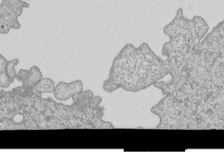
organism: Human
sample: MDA-MB-231 cells